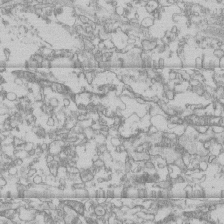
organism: Human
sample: CRL-1474